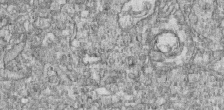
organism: Human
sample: HeLa cell HIV synapse